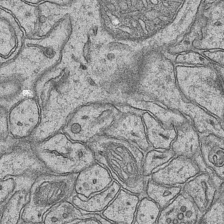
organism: Mouse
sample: CA1 Hippocampus